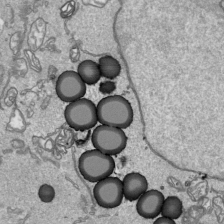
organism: Human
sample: Mitochondria in HCT116 cells